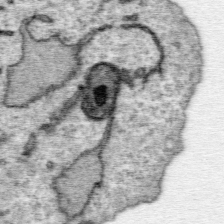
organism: Human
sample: HeLa cells